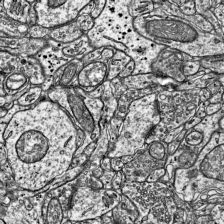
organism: Mouse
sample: Visual Cortex